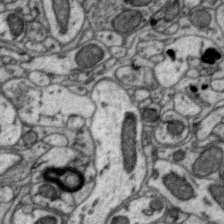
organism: Zebra finch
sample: Brain